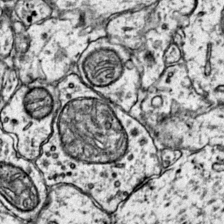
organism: Mouse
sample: Primary visual cortex